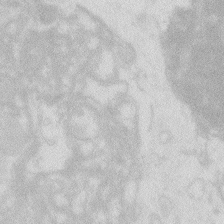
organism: Zebrafish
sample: Macrophage